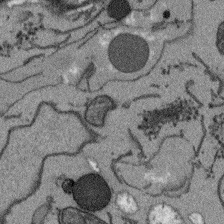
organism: Arabidopsis thaliana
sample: Root tip